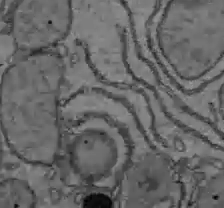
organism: C57BL Mouse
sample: Liver